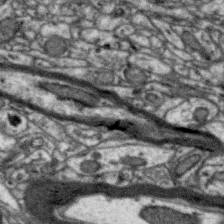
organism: Zebra finch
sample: Brain